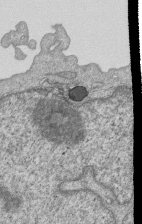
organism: Human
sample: MDA-MB-231 cells